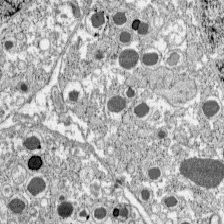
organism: C57BL Mouse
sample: Pancreatic islet